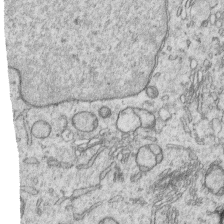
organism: Human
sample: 1205lu cells